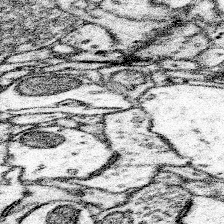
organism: Mouse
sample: Somatosensory cortex neuropil